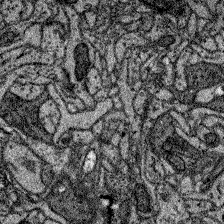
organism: Zebrafish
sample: Larval olfactory bulb